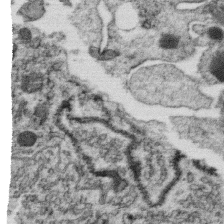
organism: C. elegans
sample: C. elegans oocyte; sperm cells